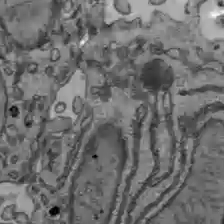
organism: C57BL Mouse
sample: Liver